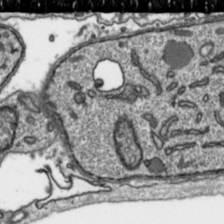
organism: Toxoplasma gondii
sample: Parasites in a vacuole inside a host cell